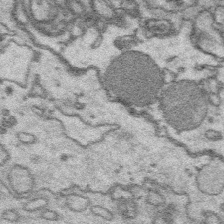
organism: Platynereis dumerilii